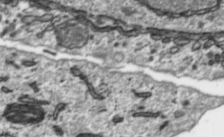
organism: Toxoplasma gondii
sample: Parasites in a vacuole inside a host cell